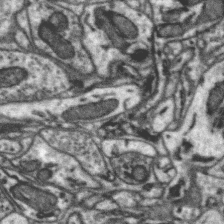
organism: Zebra finch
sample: Brain